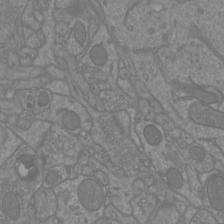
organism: Mouse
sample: Cortical neurons